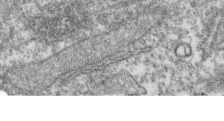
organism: Zebrafish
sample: Cilia; retinal pigment epithelium